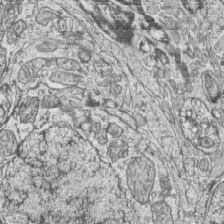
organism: Zebrafish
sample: synaptic ribbons in rod cells and cone cells